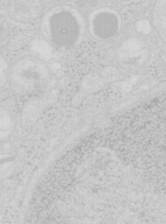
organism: Mouse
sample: Pancreas